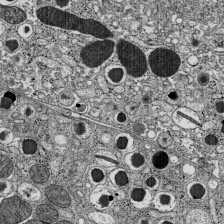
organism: C57BL Mouse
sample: Pancreatic islet